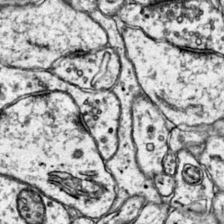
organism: Mouse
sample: Primary visual cortex